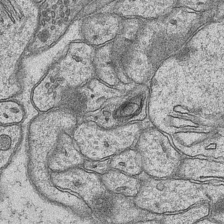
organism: Mouse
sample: CA1 Hippocampus